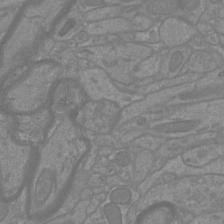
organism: Mouse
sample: Cortical neurons